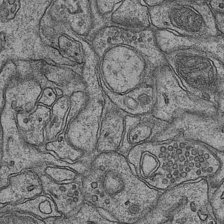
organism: Mouse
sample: CA1 Hippocampus